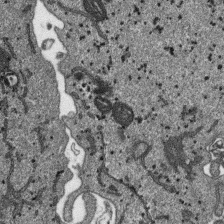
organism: Human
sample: Lung epithelial cells infected with SARS-CoV-2